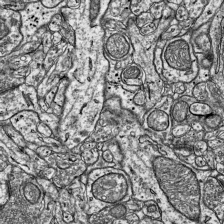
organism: Mouse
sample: Visual Cortex